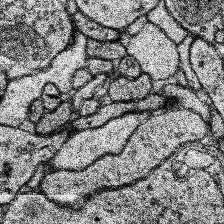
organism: Human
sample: Temporal Lobe